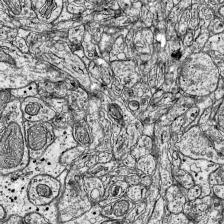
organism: Mouse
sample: Visual Cortex